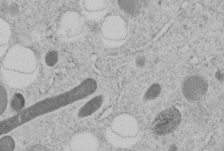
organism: C. elegans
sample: C. elegans embryo early stage